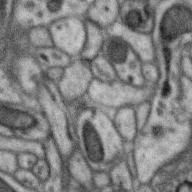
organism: Zebra finch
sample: Brain